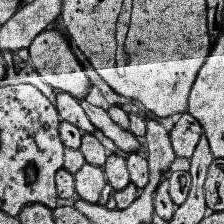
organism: Human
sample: Temporal Lobe